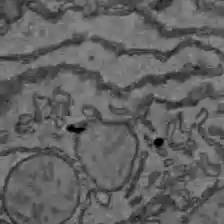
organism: C57BL Mouse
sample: Liver